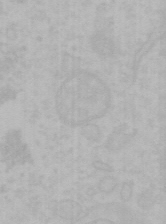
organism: Mouse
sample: Choroid plexus